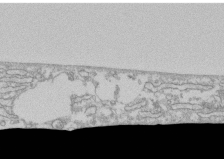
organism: Human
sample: CRL-1474